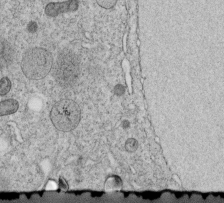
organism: C. elegans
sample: C. elegans embryo early stage